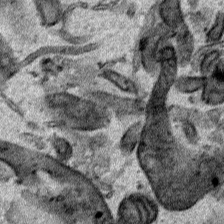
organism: Human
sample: Mitochondria in HCT116 cells